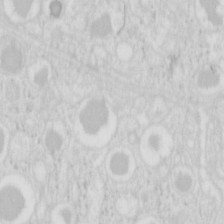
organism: Mouse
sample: Pancreas